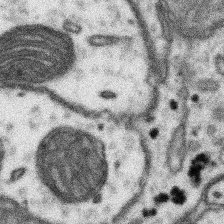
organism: Mouse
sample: Somatosensory cortex neuropil